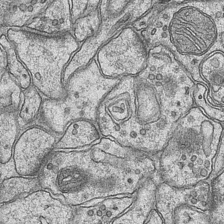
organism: Mouse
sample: CA1 Hippocampus